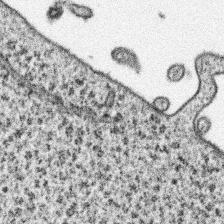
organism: Human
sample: HeLa cells